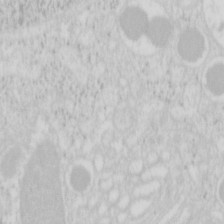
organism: Mouse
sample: Pancreas